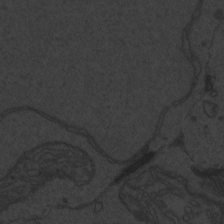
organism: Zebrafish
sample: Macrophage infected with Toxoplasma gondii